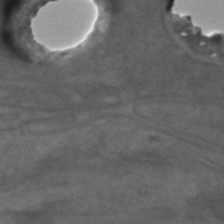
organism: C. elegans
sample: C. elegans embryo